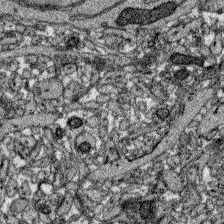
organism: Zebrafish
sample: Larval olfactory bulb